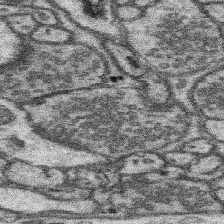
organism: Mouse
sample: Somatosensory cortex neuropil